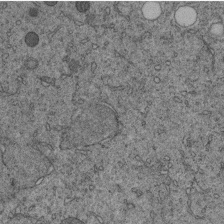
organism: C. elegans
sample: C. elegans embryo early stage